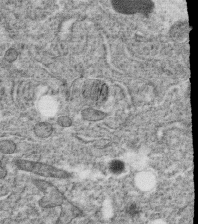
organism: C. elegans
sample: C. elegans oocyte; sperm cells